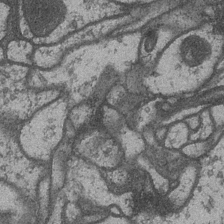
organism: Drosophila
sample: Optic medulla